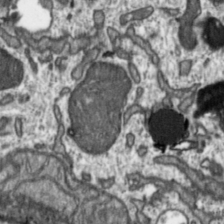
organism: Toxoplasma gondii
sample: Parasites in a vacuole inside a host cell